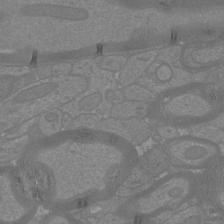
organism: Mouse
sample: Cortical neurons